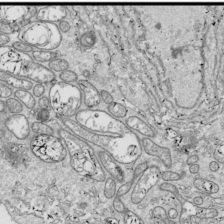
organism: Drosophila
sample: Cell division; meiosis; drosophila spermatocytes